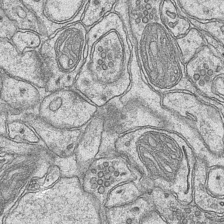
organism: Mouse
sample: CA1 Hippocampus